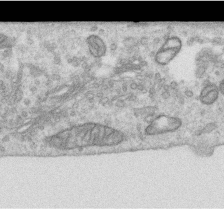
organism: Human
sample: Centriole in RPE cells